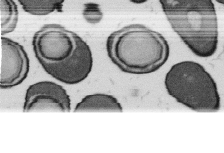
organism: B. subtilis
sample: Bacterial spore